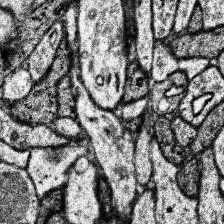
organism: Human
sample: Temporal Lobe